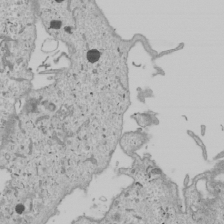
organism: Human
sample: Mitochondria in U2OS cells